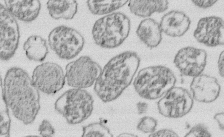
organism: E. coli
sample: Bacterial nucleoid